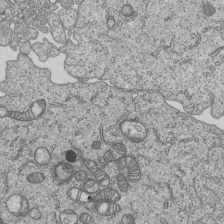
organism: Human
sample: MDA-MB-231 cells